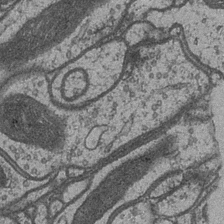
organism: Drosophila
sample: Optic medulla